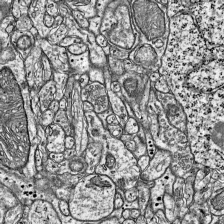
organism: Mouse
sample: Visual Cortex